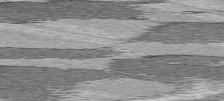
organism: C57BL Mouse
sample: Heart